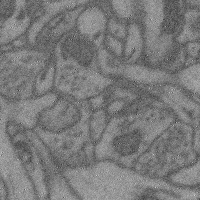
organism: Mouse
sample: Cerebral cortex